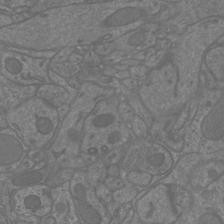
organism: Mouse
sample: Cortical neurons